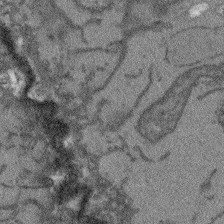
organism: Arabidopsis thaliana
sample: Root tip